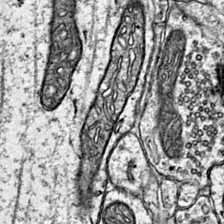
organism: Mouse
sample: Primary visual cortex